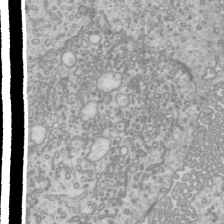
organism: Mouse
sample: Cilia; mouse epididymis